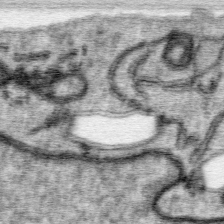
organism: Human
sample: HeLa cells